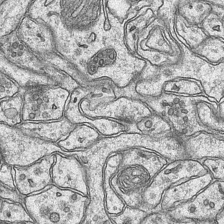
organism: Mouse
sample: CA1 Hippocampus